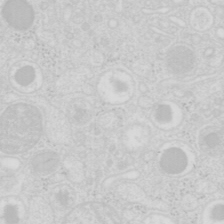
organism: Mouse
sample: Pancreas